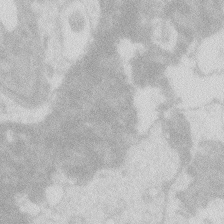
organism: Zebrafish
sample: Macrophage